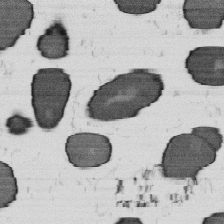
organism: B. subtilis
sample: Bacterial spore